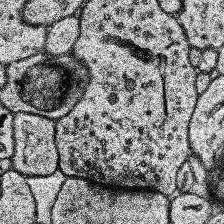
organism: Human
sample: Temporal Lobe